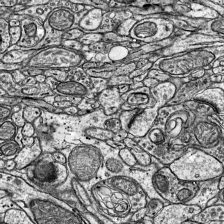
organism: Mouse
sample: Visual Cortex